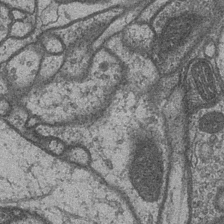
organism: Drosophila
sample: Optic medulla